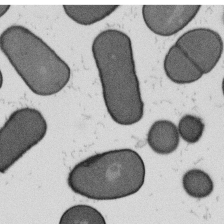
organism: B. subtilis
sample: Bacterial spore